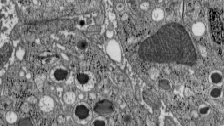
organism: C57BL Mouse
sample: Pancreatic islet